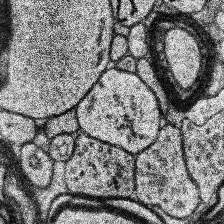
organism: Human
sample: Temporal Lobe